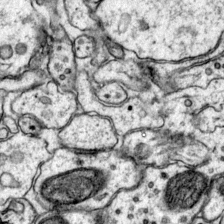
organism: Mouse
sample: Primary visual cortex